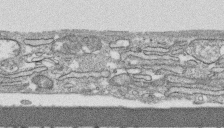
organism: Human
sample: CRL-1474